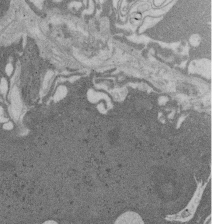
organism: Rat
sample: Salivary granule